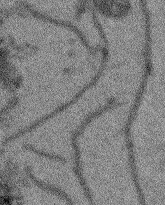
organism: Arabidopsis thaliana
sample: Root tip